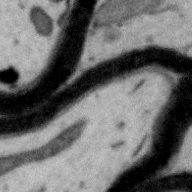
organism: Zebra finch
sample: Brain